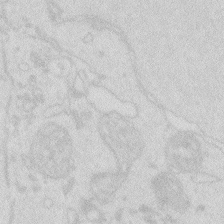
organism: Zebrafish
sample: Macrophage